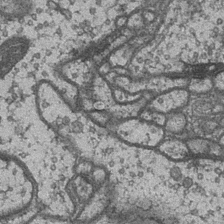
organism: Drosophila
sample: Optic medulla